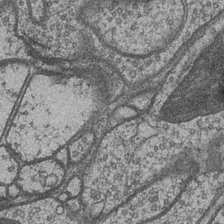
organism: Drosophila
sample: Optic medulla